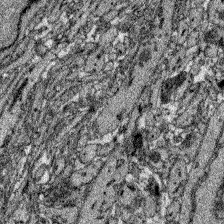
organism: Zebrafish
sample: Larval olfactory bulb